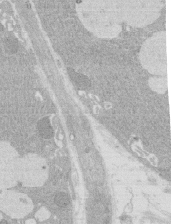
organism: Rat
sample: Salivary granule